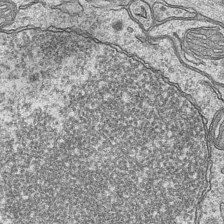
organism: Mouse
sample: CA1 Hippocampus